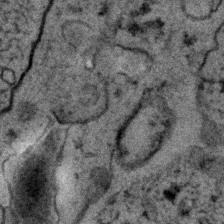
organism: C. elegans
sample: C. elegans embryo